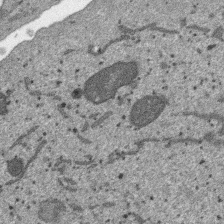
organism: Human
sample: Lung epithelial cells infected with SARS-CoV-2